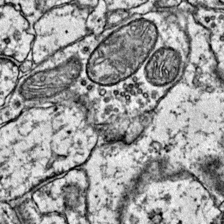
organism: Mouse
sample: Primary visual cortex